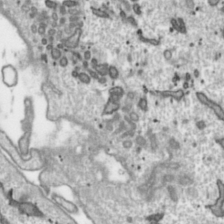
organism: Toxoplasma gondii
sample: Parasites in a vacuole inside a host cell